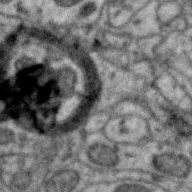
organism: Zebra finch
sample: Brain